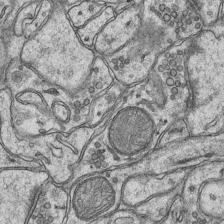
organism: Mouse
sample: CA1 Hippocampus